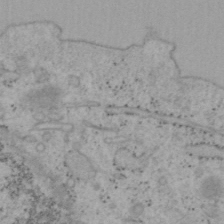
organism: Human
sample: HeLa cells